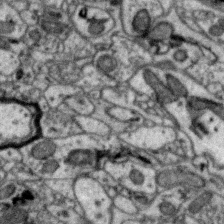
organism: Zebra finch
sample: Brain